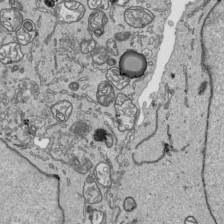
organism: Human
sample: Mitochondria in HCT116 cells